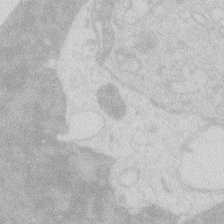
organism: Zebrafish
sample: Macrophage